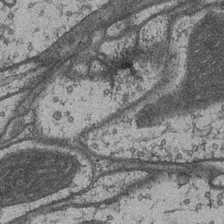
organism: Drosophila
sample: Optic medulla